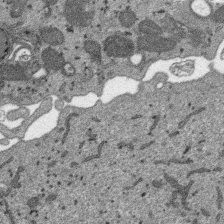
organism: Human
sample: Lung epithelial cells infected with SARS-CoV-2